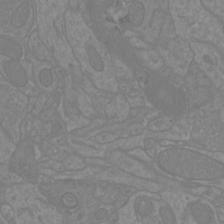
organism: Mouse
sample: Cortical neurons